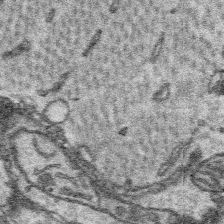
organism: Platynereis dumerilii